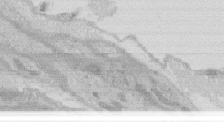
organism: Rat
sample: Salivary granule